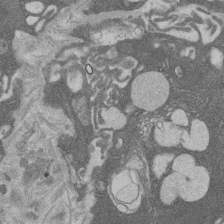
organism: Rat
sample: Salivary granule